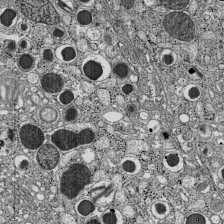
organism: C57BL Mouse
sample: Pancreatic islet